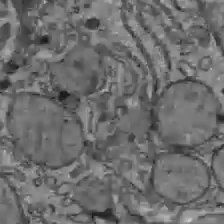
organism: C57BL Mouse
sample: Liver